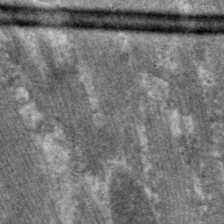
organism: C. elegans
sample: Pharynx